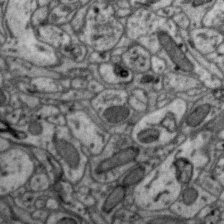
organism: Zebra finch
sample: Brain